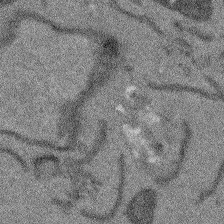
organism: Arabidopsis thaliana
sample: Root tip